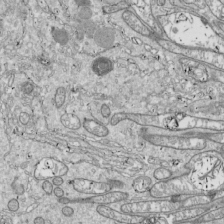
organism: Drosophila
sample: Cell division; meiosis; drosophila spermatocytes